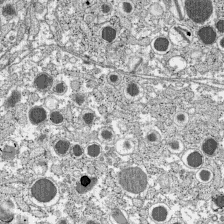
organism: C57BL Mouse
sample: Pancreatic islet